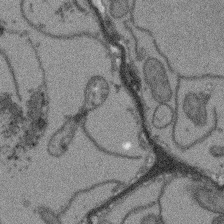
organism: Arabidopsis thaliana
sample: Root tip